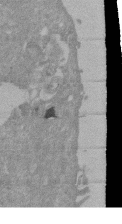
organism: Mouse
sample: ED-1 cell nuclei; centrioles